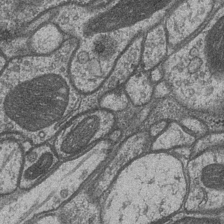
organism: Drosophila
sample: Optic medulla